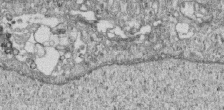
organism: Human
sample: HeLa cell HIV synapse